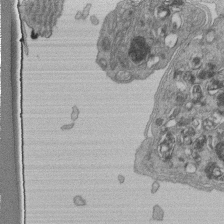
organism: Human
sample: Retinal organoid Rod and Cone cells